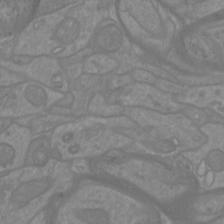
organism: Mouse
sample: Cortical neurons